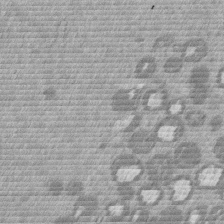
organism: Mouse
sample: Dividing mouse embryo 1 cell stage